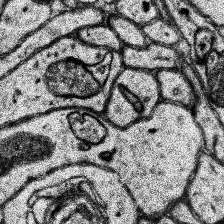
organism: Human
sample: Temporal Lobe